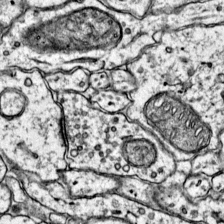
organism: Mouse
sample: Primary visual cortex